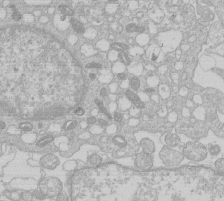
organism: Human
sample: Macrophage cells